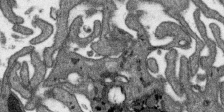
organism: Human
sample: Lung epithelial cells, uninfected (mock) control